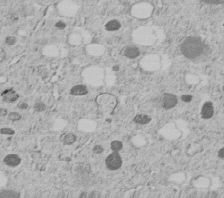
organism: C. elegans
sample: C. elegans embryo early stage